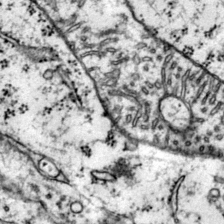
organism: Mouse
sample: Primary visual cortex